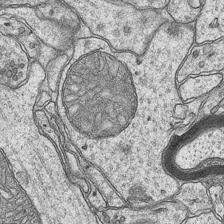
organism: Mouse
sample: CA1 Hippocampus